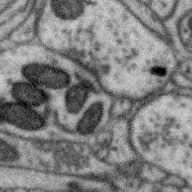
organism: Zebra finch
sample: Brain